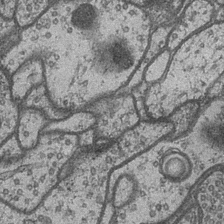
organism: Drosophila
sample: Optic medulla